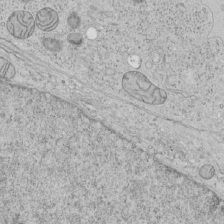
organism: Human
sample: Mitochondria in HCT116 cells